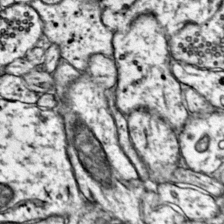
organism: Mouse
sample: Primary visual cortex